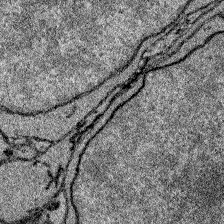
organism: Zebrafish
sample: Larval olfactory bulb